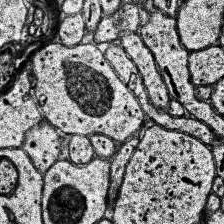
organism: Human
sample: Temporal Lobe